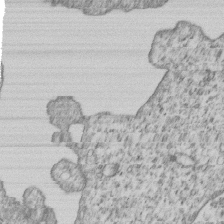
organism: Human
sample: MDA-MB-231 cells